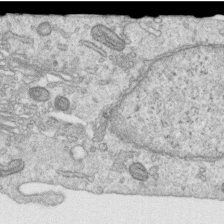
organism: Human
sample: Centriole in RPE cells